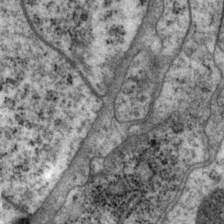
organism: P. pacificus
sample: Pharynx